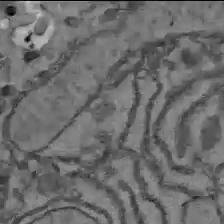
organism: C57BL Mouse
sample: Liver